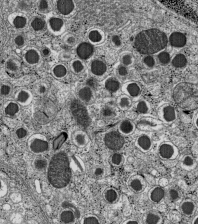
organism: C57BL Mouse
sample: Pancreatic islet